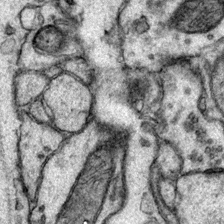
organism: Mouse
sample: Primary visual cortex